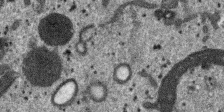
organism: Human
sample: Lung epithelial cells infected with SARS-CoV-2